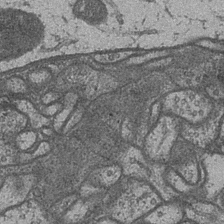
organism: Drosophila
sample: Optic medulla